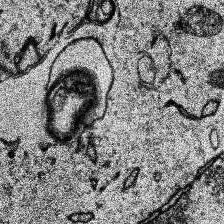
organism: Human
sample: Temporal Lobe